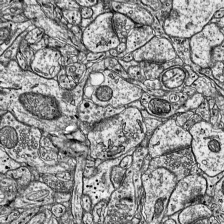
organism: Mouse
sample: Visual Cortex